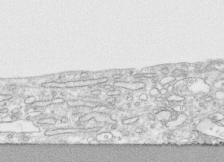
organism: Human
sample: CRL-1474